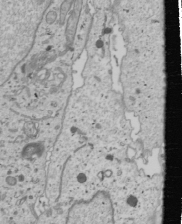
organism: Human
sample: Mitochondria in U2OS cells